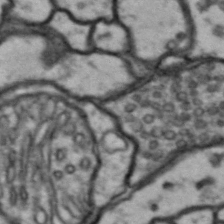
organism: Drosophila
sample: Brain